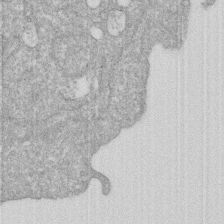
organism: Human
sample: HIV infected U937 cells